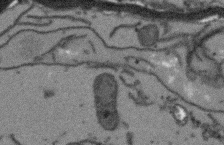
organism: Arabidopsis thaliana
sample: Root tip